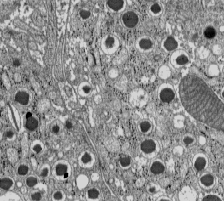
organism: C57BL Mouse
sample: Pancreatic islet